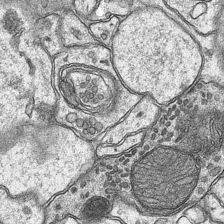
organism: Mouse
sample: CA1 Hippocampus